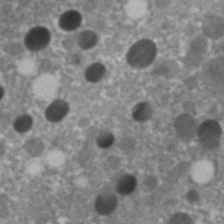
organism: C. elegans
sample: C. elegans embryo